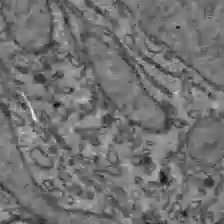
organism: C57BL Mouse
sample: Liver